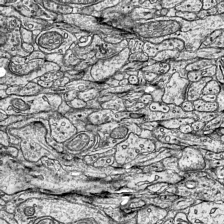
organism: Mouse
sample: Visual Cortex